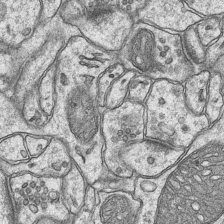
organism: Mouse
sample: CA1 Hippocampus